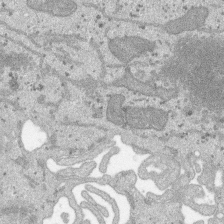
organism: Human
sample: Lung epithelial cells infected with SARS-CoV-2